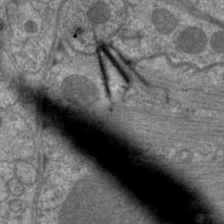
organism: C. elegans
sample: Pharynx